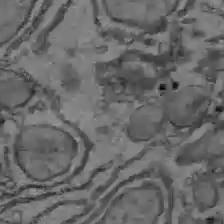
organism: C57BL Mouse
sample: Liver